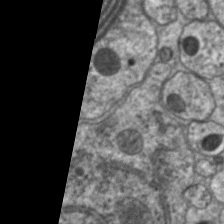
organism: C. elegans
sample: Pharynx